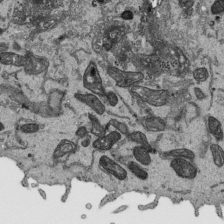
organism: Human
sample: Mitochondria in HCT116 cells